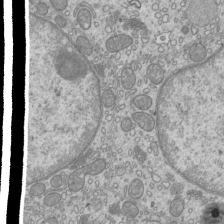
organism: Mouse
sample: Cilia; mouse epididymis